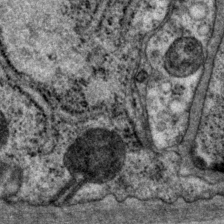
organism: P. pacificus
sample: Pharynx